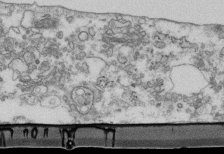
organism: Mouse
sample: Cilia; retinal pigment epithelium